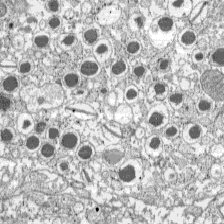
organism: C57BL Mouse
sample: Pancreatic islet